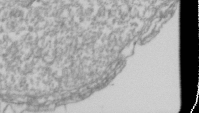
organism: Drosophila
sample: Cell division; meiosis; drosophila spermatocytes